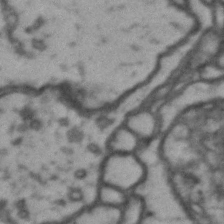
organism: Drosophila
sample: Brain